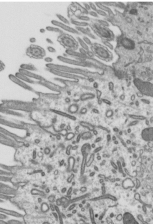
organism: Mouse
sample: Mouse epididymis efferent ductule cilia